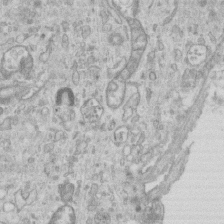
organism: Mouse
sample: Centriole in ependymal cells